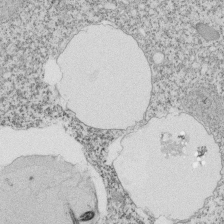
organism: Tetrahymena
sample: Cilia in tetrahymena